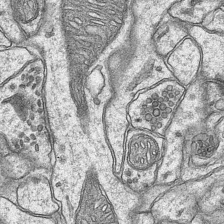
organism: Mouse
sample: CA1 Hippocampus